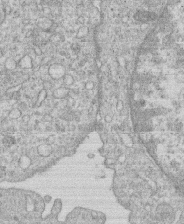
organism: Human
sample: Macrophage cells